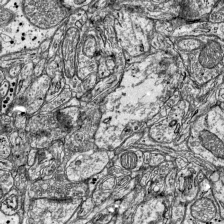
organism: Mouse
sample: Visual Cortex